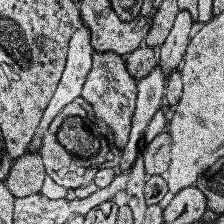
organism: Human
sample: Temporal Lobe